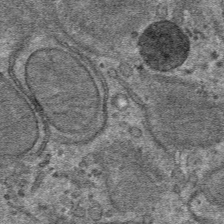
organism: Mouse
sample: Mouse hepatocytes